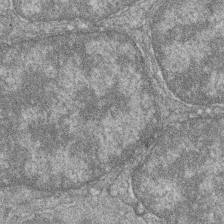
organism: Zebrafish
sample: Cilia; retinal pigment epithelium